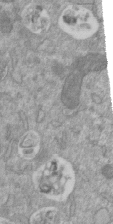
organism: Mouse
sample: ED-1 cell nuclei; centrioles